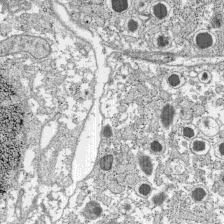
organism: C57BL Mouse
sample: Pancreatic islet